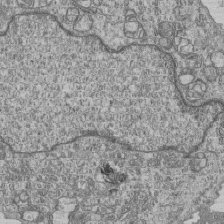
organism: Human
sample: MDA-MB-231 cells